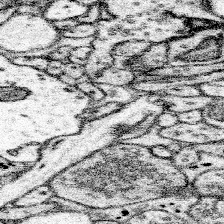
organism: Mouse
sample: Somatosensory cortex neuropil